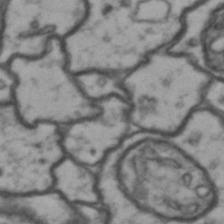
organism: Drosophila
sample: Brain